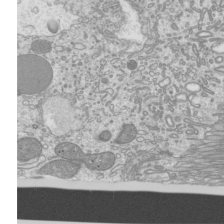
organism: Mouse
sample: Cilia; mouse epididymis